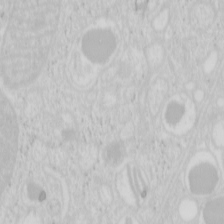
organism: Mouse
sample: Pancreas